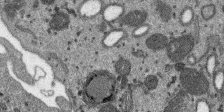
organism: Human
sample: Lung epithelial cells infected with SARS-CoV-2